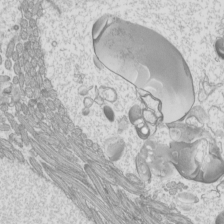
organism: Mouse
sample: Cilia; mouse epididymis